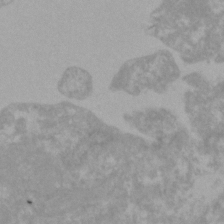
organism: Zebrafish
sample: Zebrafish embryo